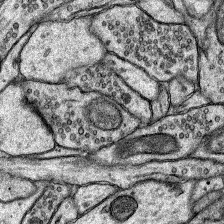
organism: Rat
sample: Hippocampus